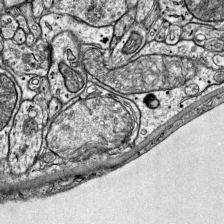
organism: Mouse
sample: Visual Cortex